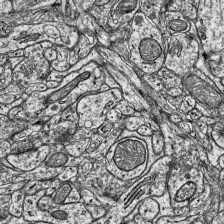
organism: Mouse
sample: Visual Cortex